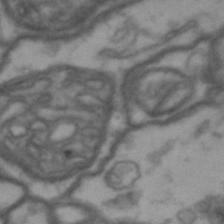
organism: Drosophila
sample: Brain